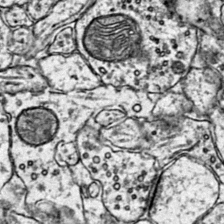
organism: Mouse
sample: Primary visual cortex